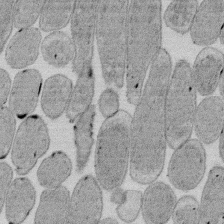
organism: E. coli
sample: Bacterial nucleoid